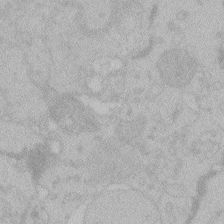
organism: Zebrafish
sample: Macrophage infected with Toxoplasma gondii